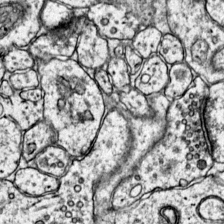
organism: Mouse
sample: Primary visual cortex